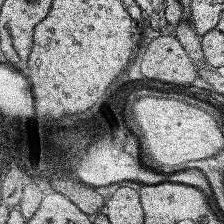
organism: Human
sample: Temporal Lobe